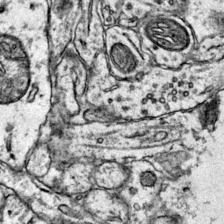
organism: Mouse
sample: Primary visual cortex